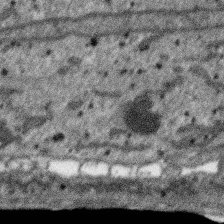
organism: Human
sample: Lung epithelial cells infected with SARS-CoV-2